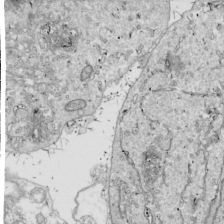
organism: Drosophila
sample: Cell division; meiosis; drosophila spermatocytes